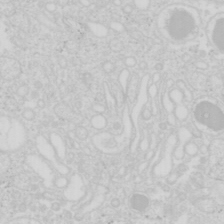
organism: Mouse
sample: Pancreas